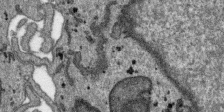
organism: Human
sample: Lung epithelial cells, uninfected (mock) control